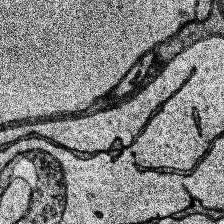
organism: Human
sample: Temporal Lobe